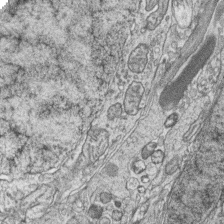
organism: Zebrafish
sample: synaptic ribbons in rod cells and cone cells